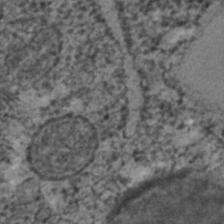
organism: C. elegans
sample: C. elegans embryo